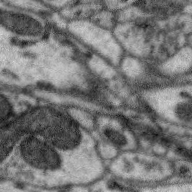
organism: Zebra finch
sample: Brain